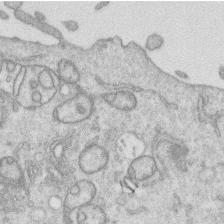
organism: Human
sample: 1205lu cells